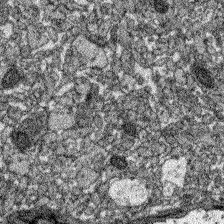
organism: Zebrafish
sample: Larval olfactory bulb